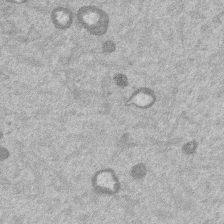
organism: Mouse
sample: Dividing mouse embryo 1 cell stage